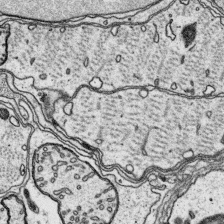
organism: Platynereis dumerilii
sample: Parapodia